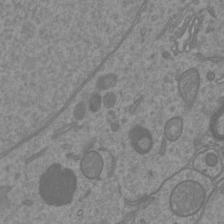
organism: Mouse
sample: Cortical neurons